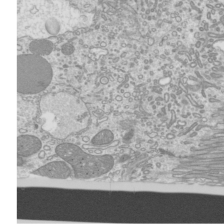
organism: Mouse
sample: Cilia; mouse epididymis